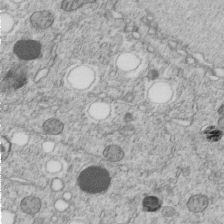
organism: C. elegans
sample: C. elegans embryo early stage